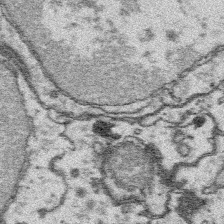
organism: Platynereis dumerilii